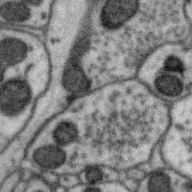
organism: Zebra finch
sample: Brain